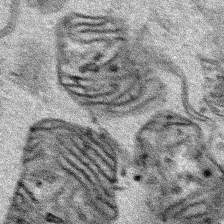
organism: Human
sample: Mitochondria in HCT116 cells